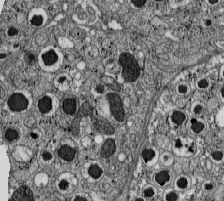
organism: C57BL Mouse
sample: Pancreatic islet